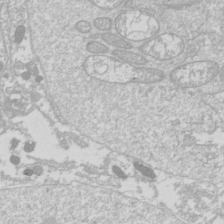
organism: Drosophila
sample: Cell division; meiosis; drosophila spermatocytes